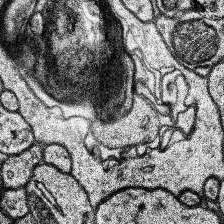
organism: Human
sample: Temporal Lobe